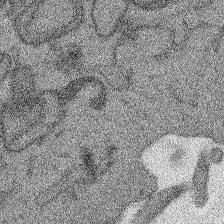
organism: Human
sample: HeLa cells